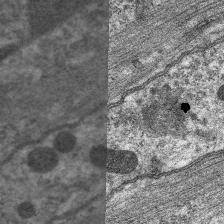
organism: C. elegans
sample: Pharynx